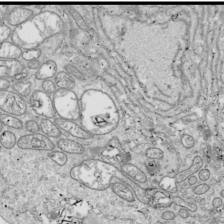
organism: Drosophila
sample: Cell division; meiosis; drosophila spermatocytes